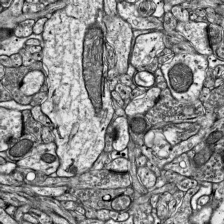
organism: Mouse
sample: Visual Cortex